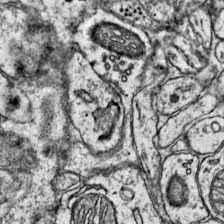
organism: Mouse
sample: Primary visual cortex